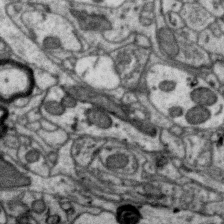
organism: Zebra finch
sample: Brain